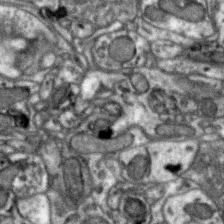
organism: Zebra finch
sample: Brain